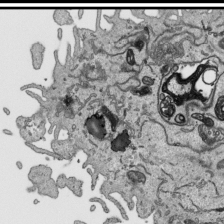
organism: Human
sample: Mitochondria in HCT116 cells